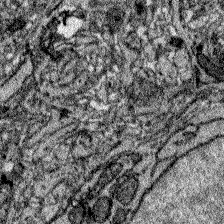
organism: Zebrafish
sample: Larval olfactory bulb